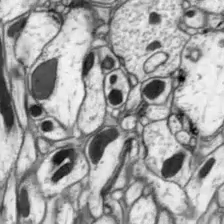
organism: Drosophila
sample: Optic lobe